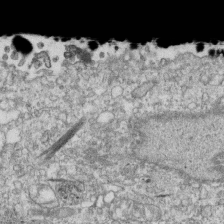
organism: Human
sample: HeLa cell HIV synapse